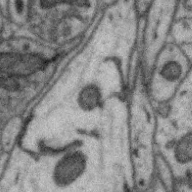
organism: Zebra finch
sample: Brain